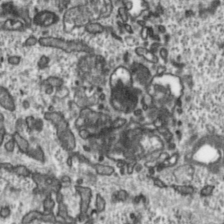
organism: Toxoplasma gondii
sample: Parasites in a vacuole inside a host cell